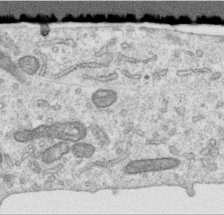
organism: Human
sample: Centriole in RPE cells